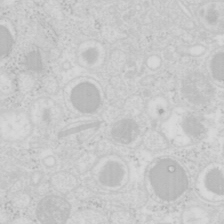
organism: Mouse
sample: Pancreas